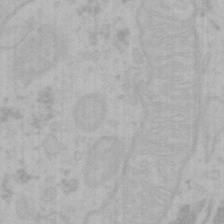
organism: Mouse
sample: Choroid plexus